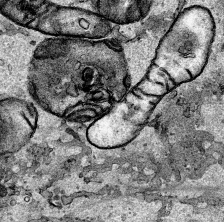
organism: Human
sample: Mitochondria in HCT116 cells